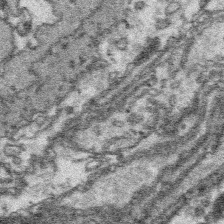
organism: Platynereis dumerilii